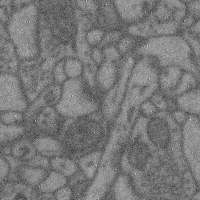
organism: Mouse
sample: Cerebral cortex